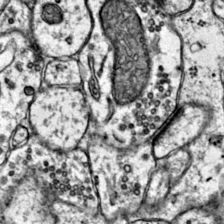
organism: Mouse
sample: Primary visual cortex